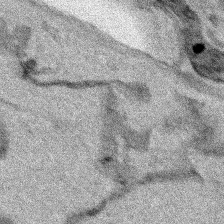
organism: Human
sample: Mitochondria in HCT116 cells